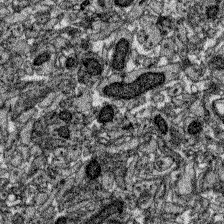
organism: Zebrafish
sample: Larval olfactory bulb